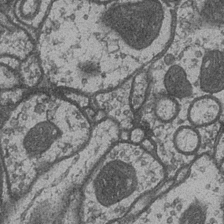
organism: Drosophila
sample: Optic medulla